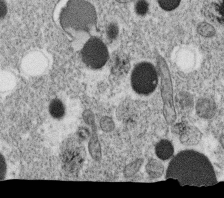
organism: C. elegans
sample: C. elegans oocyte; sperm cells